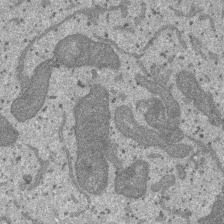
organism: Human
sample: Lung epithelial cells infected with SARS-CoV-2